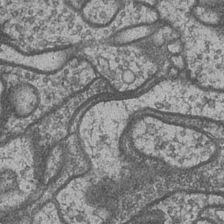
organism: Drosophila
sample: Optic medulla